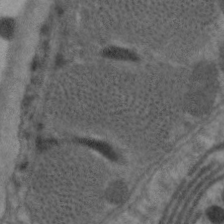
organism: C. elegans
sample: Pharynx